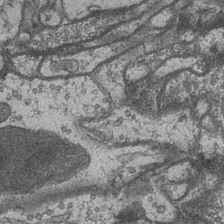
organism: Drosophila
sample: Optic medulla